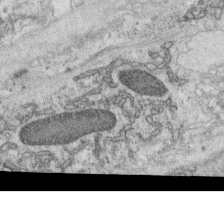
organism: C. elegans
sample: C. elegans oocyte; sperm cells